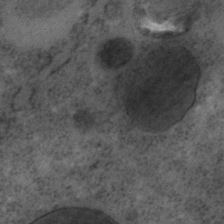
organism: C. elegans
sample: C. elegans embryo